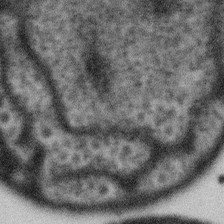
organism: Gemmata obscuriglobus